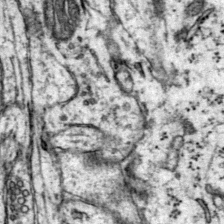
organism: Mouse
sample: Primary visual cortex